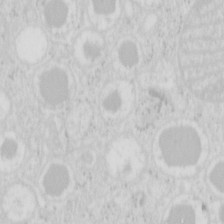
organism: Mouse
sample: Pancreas